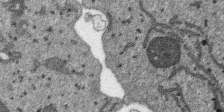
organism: Human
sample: Lung epithelial cells infected with SARS-CoV-2